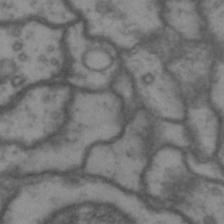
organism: Drosophila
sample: Brain